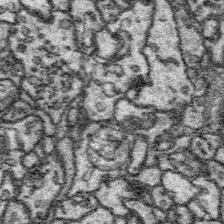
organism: Platynereis dumerilii